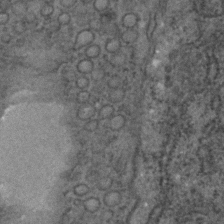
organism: C. elegans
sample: C. elegans embryo